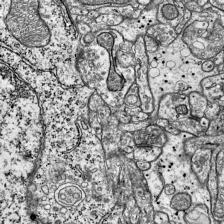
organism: Mouse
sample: Visual Cortex